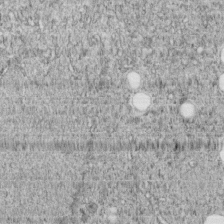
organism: C. elegans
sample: C. elegans embryo early stage